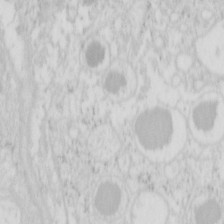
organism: Mouse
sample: Pancreas